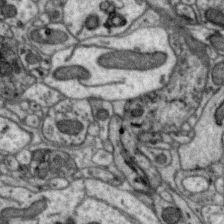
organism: Zebra finch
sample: Brain